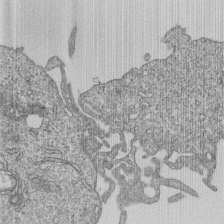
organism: Human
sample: MDA-MB-231 cells